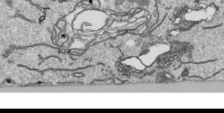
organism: Human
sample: Mitochondria in HCT116 cells